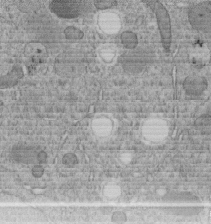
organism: C. elegans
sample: C. elegans embryo early stage